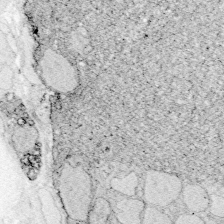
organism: Zebrafish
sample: Whole-Brain